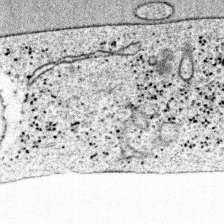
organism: Human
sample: HeLa cells